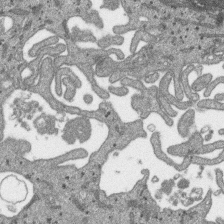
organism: Human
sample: Lung epithelial cells infected with SARS-CoV-2